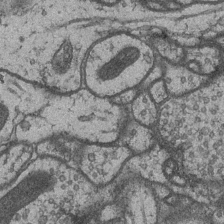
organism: Drosophila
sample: Optic medulla